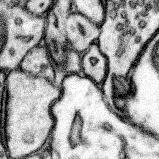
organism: Mouse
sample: Somatosensory cortex neuropil